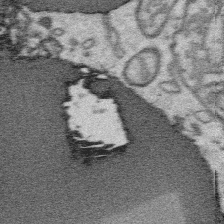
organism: Platynereis dumerilii